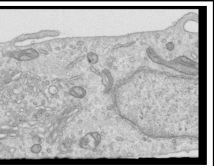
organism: Human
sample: Centriole in RPE cells